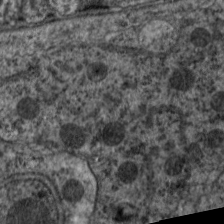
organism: C. elegans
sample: Pharynx